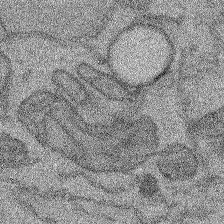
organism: Human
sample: HeLa cells